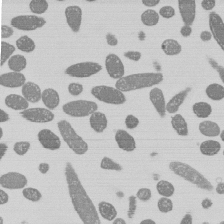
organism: E. coli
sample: Bacterial nucleoid